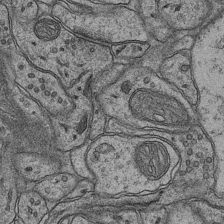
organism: Mouse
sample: CA1 Hippocampus